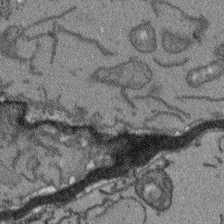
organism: Arabidopsis thaliana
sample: Root tip